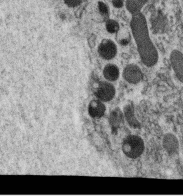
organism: C. elegans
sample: C. elegans oocyte; sperm cells